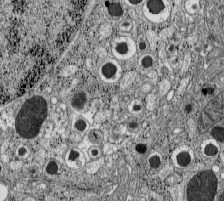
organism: C57BL Mouse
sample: Pancreatic islet